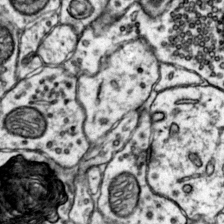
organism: Mouse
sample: Primary visual cortex